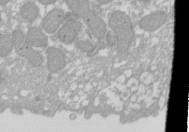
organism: Xenopus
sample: Cilia; centrioles in frog embryo cells